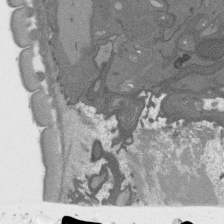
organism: C. elegans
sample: AFD neurons C. elegans